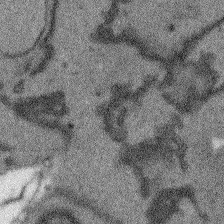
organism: Arabidopsis thaliana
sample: Root tip